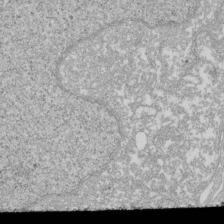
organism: Xenopus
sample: Cilia; centrioles in frog embryo cells